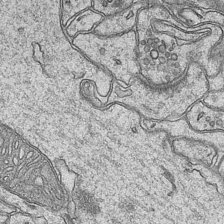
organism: Mouse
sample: CA1 Hippocampus